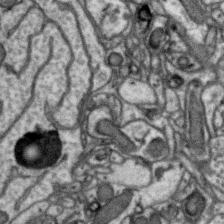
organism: Zebra finch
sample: Brain